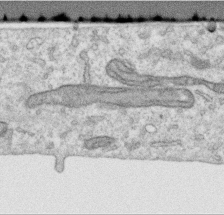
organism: Human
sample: Centriole in RPE cells